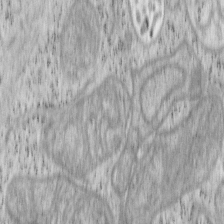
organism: Human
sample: HeLa cells